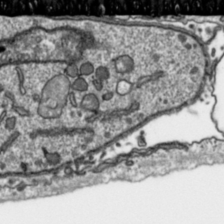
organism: Toxoplasma gondii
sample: Parasites in a vacuole inside a host cell